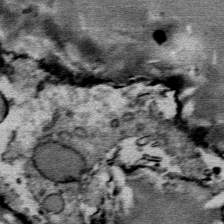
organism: Mouse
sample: Mouse Salivary gland